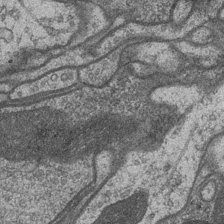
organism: Drosophila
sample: Optic medulla